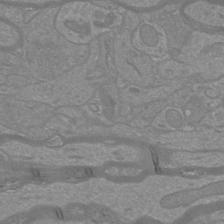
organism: Mouse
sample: Cortical neurons